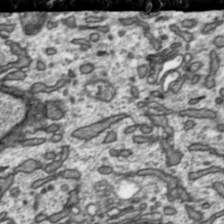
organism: Toxoplasma gondii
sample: Parasites in a vacuole inside a host cell